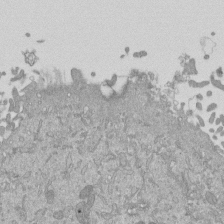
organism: Mouse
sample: ED-1 cell nuclei; centrioles